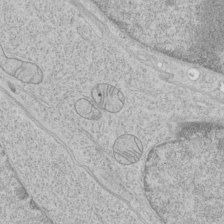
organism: Human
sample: Mitochondria in HCT116 cells